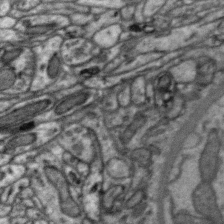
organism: Zebra finch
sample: Brain